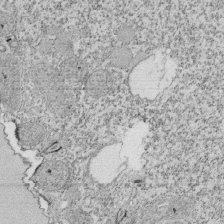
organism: Tetrahymena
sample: Cilia in tetrahymena